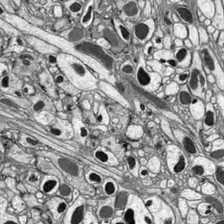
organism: Drosophila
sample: Optic lobe